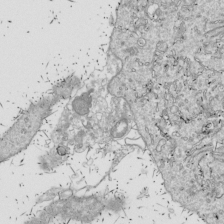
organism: Drosophila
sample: Cell division; meiosis; drosophila spermatocytes